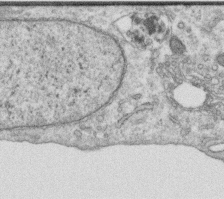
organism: Human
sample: Centriole in RPE cells